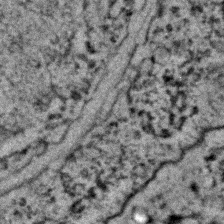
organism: C. elegans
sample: C. elegans embryo